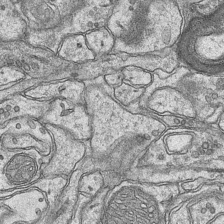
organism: Mouse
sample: CA1 Hippocampus